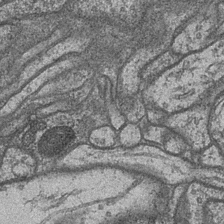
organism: Drosophila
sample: Optic medulla